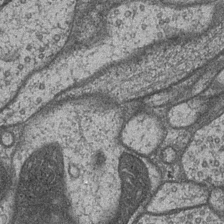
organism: Drosophila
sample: Optic medulla